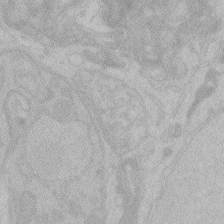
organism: Zebrafish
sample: Macrophage infected with Toxoplasma gondii